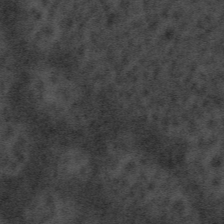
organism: Tuwongella immobilis